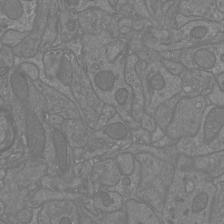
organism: Mouse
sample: Cortical neurons